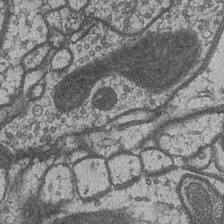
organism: Drosophila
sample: Optic medulla